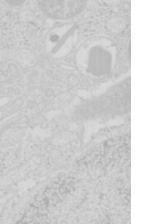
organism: Mouse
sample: Pancreas